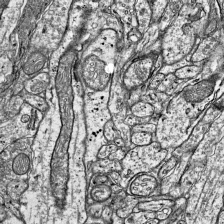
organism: Mouse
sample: Visual Cortex